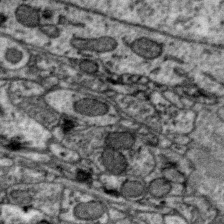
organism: Zebra finch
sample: Brain